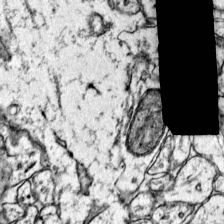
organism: Mouse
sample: Primary visual cortex